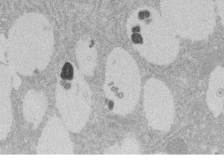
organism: Rat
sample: Salivary granule